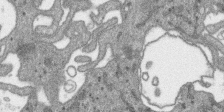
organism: Human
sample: Lung epithelial cells infected with SARS-CoV-2